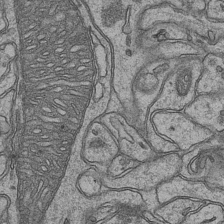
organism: Mouse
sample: CA1 Hippocampus